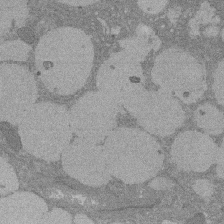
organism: Rat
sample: Salivary granule